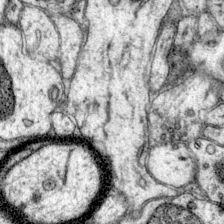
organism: Mouse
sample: Primary visual cortex